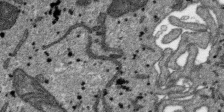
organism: Human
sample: Lung epithelial cells, uninfected (mock) control